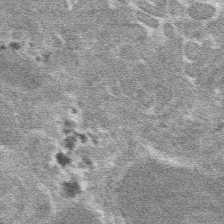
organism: Mouse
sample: Mouse hepatocytes